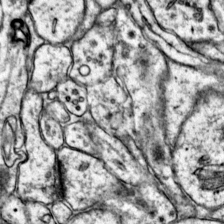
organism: Mouse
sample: Primary visual cortex